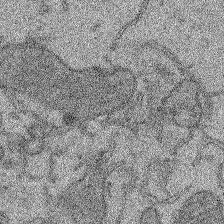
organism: Human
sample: HeLa cells